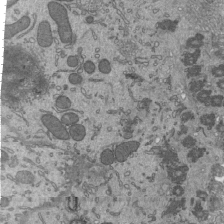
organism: Mouse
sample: Mouse epididymis efferent ductule cilia